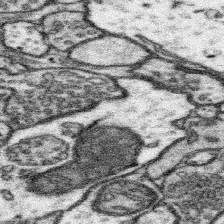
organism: Mouse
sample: Somatosensory cortex neuropil